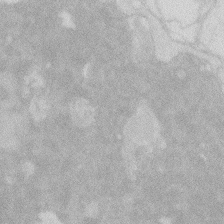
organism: Zebrafish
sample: Macrophage